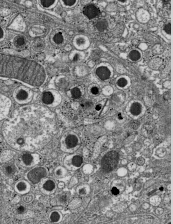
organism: C57BL Mouse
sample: Pancreatic islet